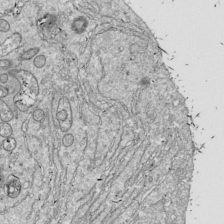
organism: Drosophila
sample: Cell division; meiosis; drosophila spermatocytes